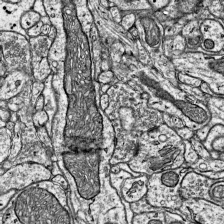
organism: Mouse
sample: Visual Cortex